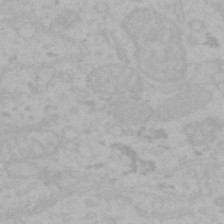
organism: Mouse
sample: Choroid plexus